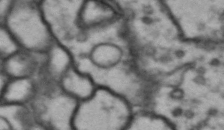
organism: Drosophila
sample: Brain